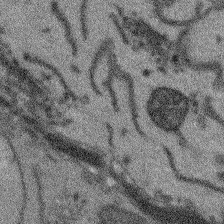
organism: Arabidopsis thaliana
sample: Root tip